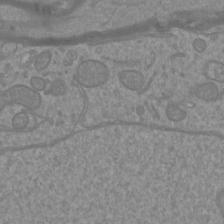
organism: Mouse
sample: Cortical neurons